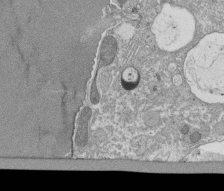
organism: Tetrahymena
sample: Cilia in tetrahymena